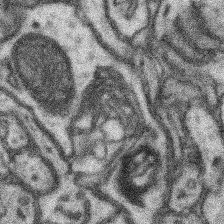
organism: Mouse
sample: Somatosensory cortex neuropil